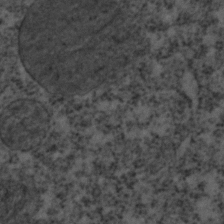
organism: C. elegans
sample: C. elegans embryo